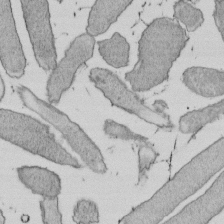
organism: E. coli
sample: Bacterial nucleoid